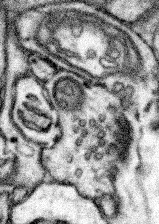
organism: Mouse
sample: Somatosensory cortex neuropil